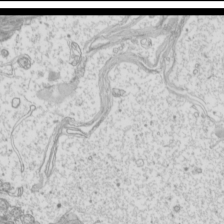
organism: Mouse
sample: Cilia; mouse epididymis